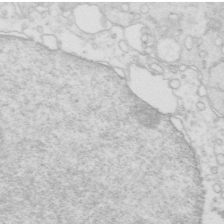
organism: Mouse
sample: Multiciliated cells